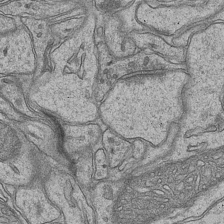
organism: Mouse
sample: CA1 Hippocampus